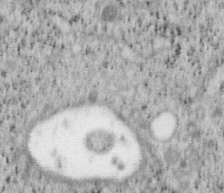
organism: Mouse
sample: OT-I killer T cells with ID8 ovarian cancer cells